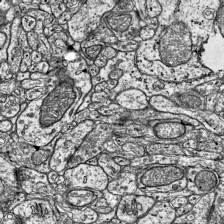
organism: Mouse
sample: Visual Cortex